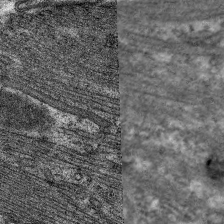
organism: C. elegans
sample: Pharynx